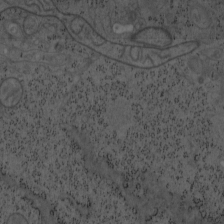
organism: Mouse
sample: OT-I killer T cells with ID8 ovarian cancer cells